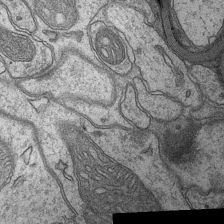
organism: Mouse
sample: CA1 Hippocampus